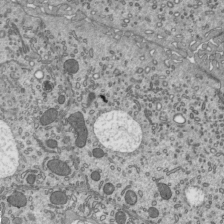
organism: Mouse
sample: Mouse epididymis efferent ductule cilia